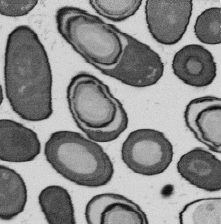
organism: B. subtilis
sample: Bacterial spore